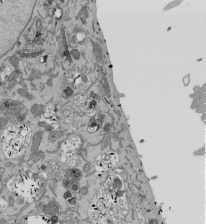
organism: Mouse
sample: ED-1 cell nuclei; centrioles